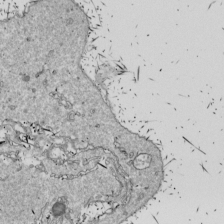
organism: Drosophila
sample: Cell division; meiosis; drosophila spermatocytes